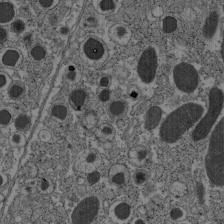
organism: C57BL Mouse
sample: Pancreatic islet